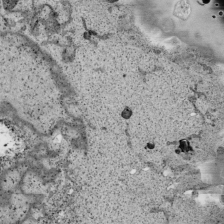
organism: Human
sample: Mitochondria in HCT116 cells